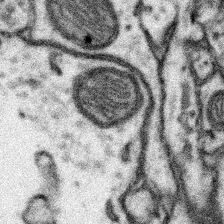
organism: Mouse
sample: Somatosensory cortex neuropil